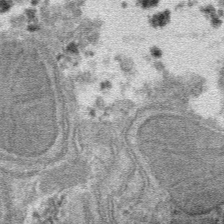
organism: Mouse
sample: Mouse hepatocytes